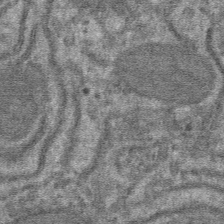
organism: Mouse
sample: Mouse hepatocytes